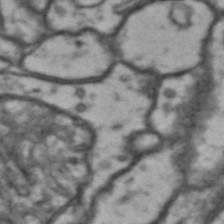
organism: Drosophila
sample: Brain